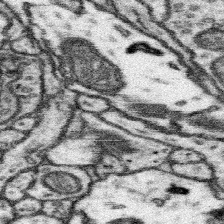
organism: Mouse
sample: Somatosensory cortex neuropil